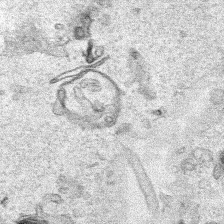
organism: Human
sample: Mitochondria in HCT116 cells